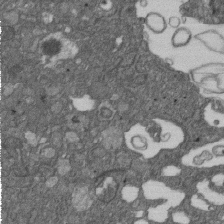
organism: Drosophila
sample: Nephrocyte